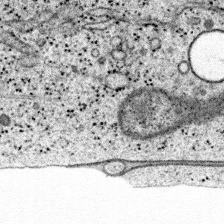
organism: Human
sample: HeLa cells